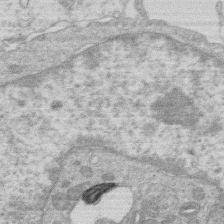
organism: Human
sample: Macrophage cells